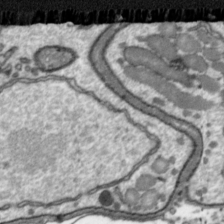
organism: Toxoplasma gondii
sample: Parasites in a vacuole inside a host cell